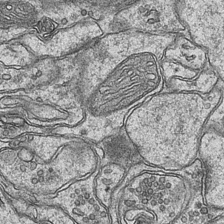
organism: Mouse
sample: CA1 Hippocampus